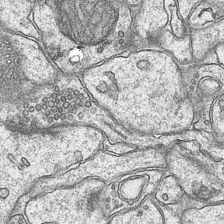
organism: Mouse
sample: CA1 Hippocampus